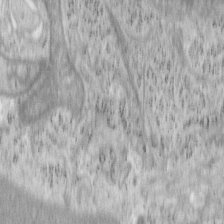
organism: Human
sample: HeLa cells